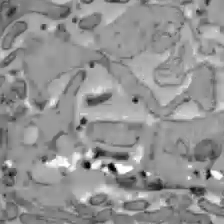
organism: C57BL Mouse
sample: Liver